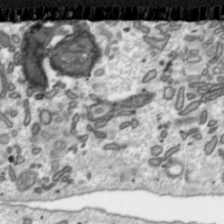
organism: Toxoplasma gondii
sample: Parasites in a vacuole inside a host cell